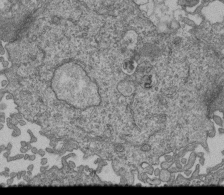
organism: Human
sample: Retinal organoid Rod and Cone cells